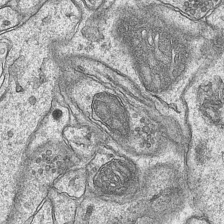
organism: Mouse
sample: CA1 Hippocampus